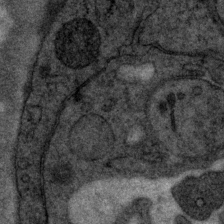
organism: P. pacificus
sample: Pharynx